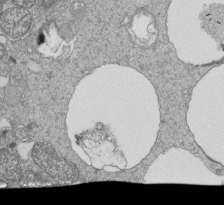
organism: Tetrahymena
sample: Cilia in tetrahymena